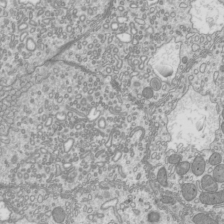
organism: Mouse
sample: Cilia; mouse epididymis